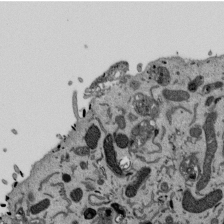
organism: Mouse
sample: ED-1 cell nuclei; centrioles